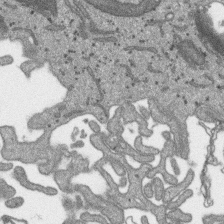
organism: Human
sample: Lung epithelial cells infected with SARS-CoV-2